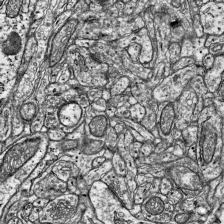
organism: Mouse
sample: Visual Cortex